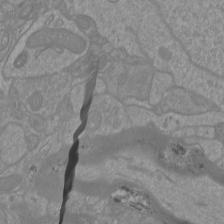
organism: Mouse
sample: Cortical neurons